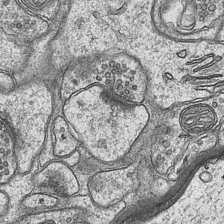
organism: Mouse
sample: CA1 Hippocampus